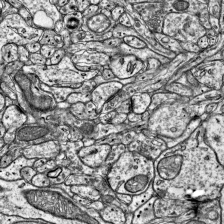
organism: Mouse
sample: Visual Cortex